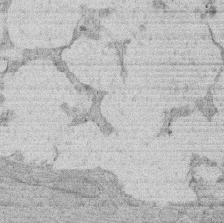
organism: Rat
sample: Salivary granule